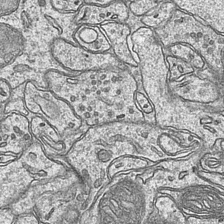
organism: Mouse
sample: CA1 Hippocampus